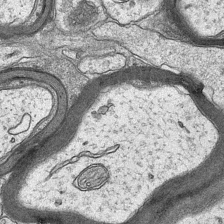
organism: Mouse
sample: CA1 Hippocampus